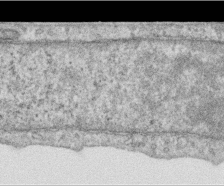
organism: Human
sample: Centriole in RPE cells